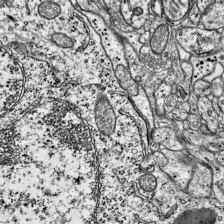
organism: Mouse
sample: Visual Cortex